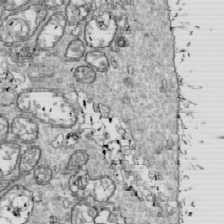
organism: Drosophila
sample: Cell division; meiosis; drosophila spermatocytes